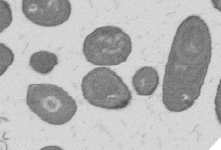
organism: B. subtilis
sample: Bacterial spore